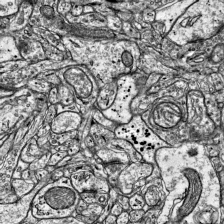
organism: Mouse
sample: Visual Cortex